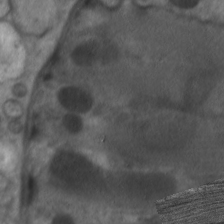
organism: C. elegans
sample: Pharynx